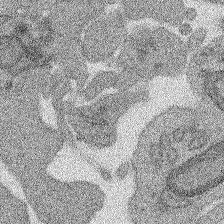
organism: Human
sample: HeLa cells